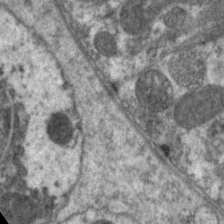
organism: C. elegans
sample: Pharynx